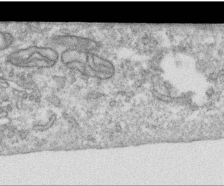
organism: Human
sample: Centriole in RPE cells